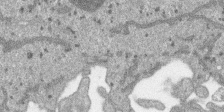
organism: Human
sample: Lung epithelial cells infected with SARS-CoV-2